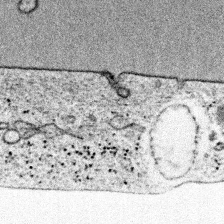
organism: Human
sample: HeLa cells